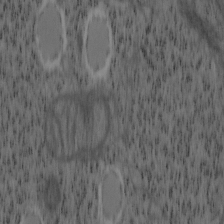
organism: Human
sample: HeLa cells